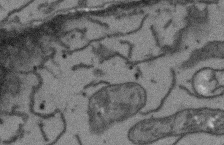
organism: Arabidopsis thaliana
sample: Root tip